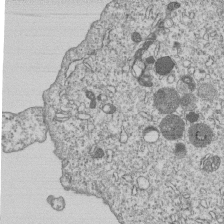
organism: Human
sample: MDA-MB-231 cells